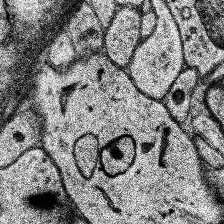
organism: Human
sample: Temporal Lobe